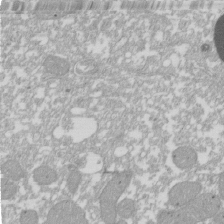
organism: Xenopus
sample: Cilia; centrioles in frog embryo cells